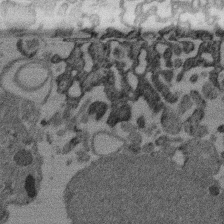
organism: Mouse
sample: Dividing mouse embryo 1 cell stage